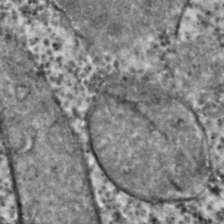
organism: C. elegans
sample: C. elegans embryo